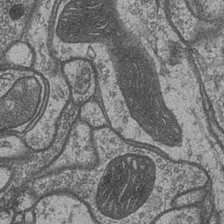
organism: Drosophila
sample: Optic medulla